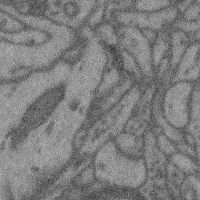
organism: Mouse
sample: Cerebral cortex